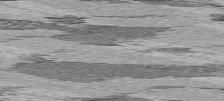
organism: C57BL Mouse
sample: Heart